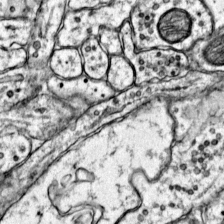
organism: Mouse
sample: Primary visual cortex